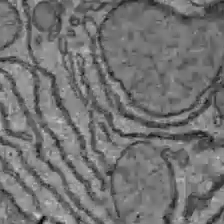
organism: C57BL Mouse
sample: Liver